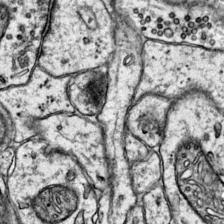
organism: Mouse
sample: Primary visual cortex